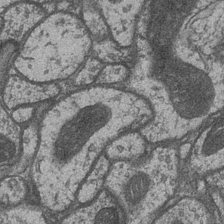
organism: Drosophila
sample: Optic medulla